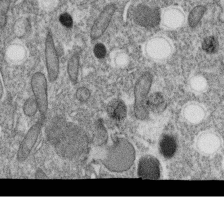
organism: C. elegans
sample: C. elegans oocyte; sperm cells